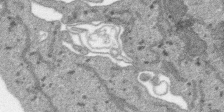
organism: Human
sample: Lung epithelial cells infected with SARS-CoV-2